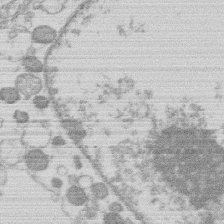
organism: Human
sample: Macrophage cells